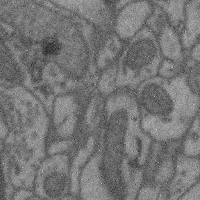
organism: Mouse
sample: Cerebral cortex